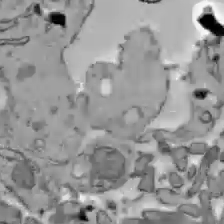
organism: C57BL Mouse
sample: Liver